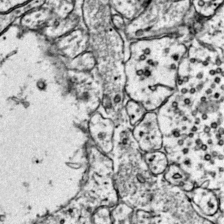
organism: Mouse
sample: Primary visual cortex